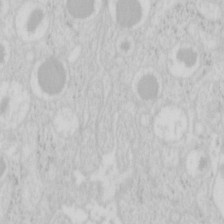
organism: Mouse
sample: Pancreas